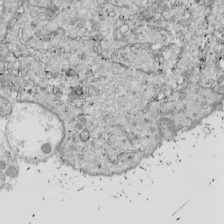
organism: Drosophila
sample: Cell division; meiosis; drosophila spermatocytes